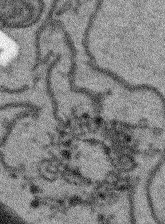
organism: Arabidopsis thaliana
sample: Root tip